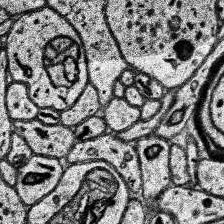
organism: Human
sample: Temporal Lobe